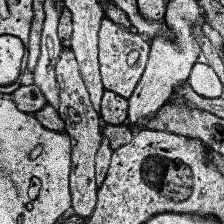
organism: Human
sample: Temporal Lobe